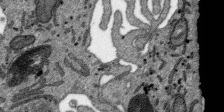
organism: Human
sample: Lung epithelial cells, uninfected (mock) control